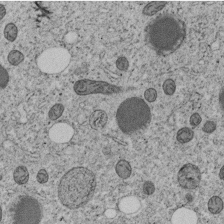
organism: C. elegans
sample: C. elegans embryo early stage